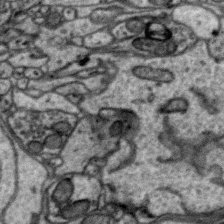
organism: Zebra finch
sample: Brain